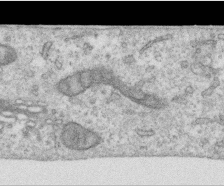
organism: Human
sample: Centriole in RPE cells